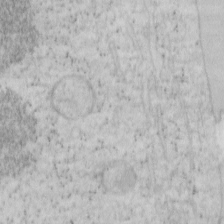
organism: Human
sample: HeLa cells